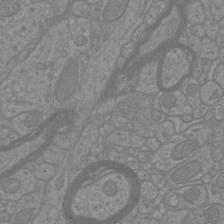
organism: Mouse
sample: Cortical neurons